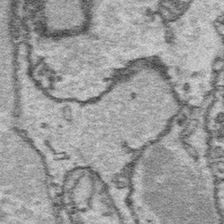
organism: Platynereis dumerilii